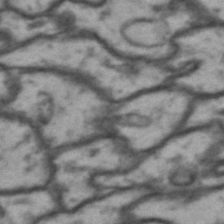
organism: Drosophila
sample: Brain